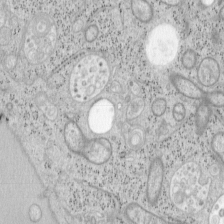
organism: Mouse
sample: OT-I killer T cells with ID8 ovarian cancer cells